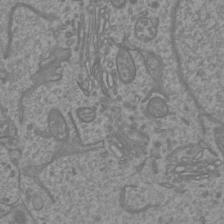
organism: Mouse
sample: Cortical neurons